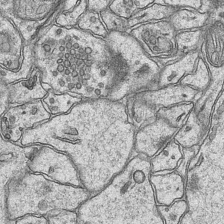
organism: Mouse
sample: CA1 Hippocampus